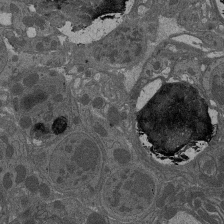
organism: Drosophila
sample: Antenna